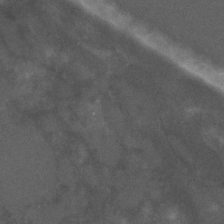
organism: C. elegans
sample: C. elegans embryo